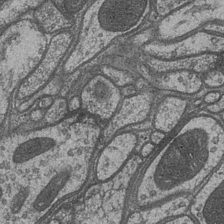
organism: Drosophila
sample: Optic medulla